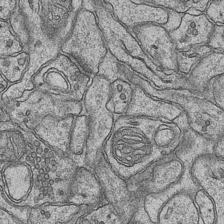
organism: Mouse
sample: CA1 Hippocampus